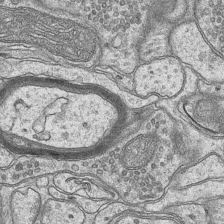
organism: Mouse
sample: CA1 Hippocampus